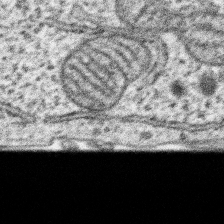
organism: Human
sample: HeLa cells